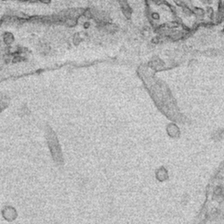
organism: Human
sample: Mitochondria in HCT116 cells